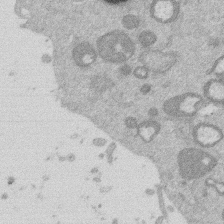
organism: Mouse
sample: Dividing mouse embryo 1 cell stage